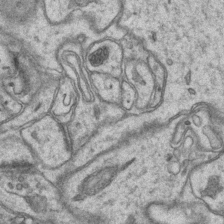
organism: Mouse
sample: CA1 Hippocampus